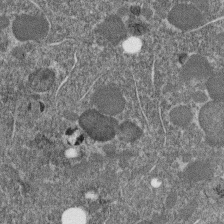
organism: C. elegans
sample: C. elegans embryo early stage